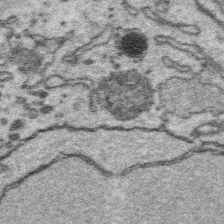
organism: Platynereis dumerilii